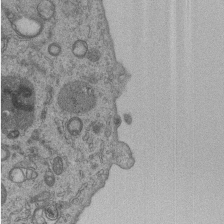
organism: Human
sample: MDA-MB-231 cells